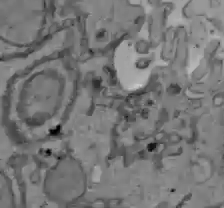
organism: C57BL Mouse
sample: Liver